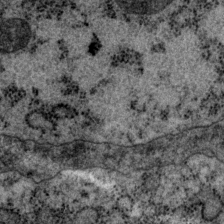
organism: P. pacificus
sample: Pharynx